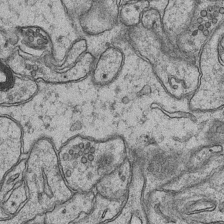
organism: Mouse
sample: CA1 Hippocampus